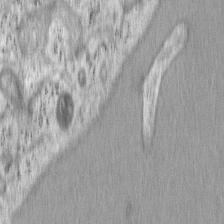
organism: Human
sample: HeLa cells